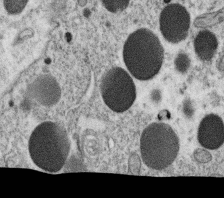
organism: C. elegans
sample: C. elegans oocyte; sperm cells